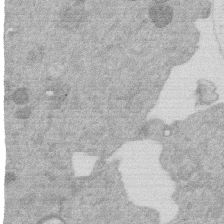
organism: Mouse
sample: Dividing mouse embryo 1 cell stage